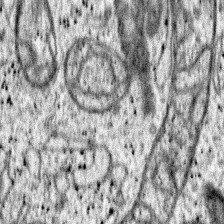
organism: Human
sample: HeLa cells